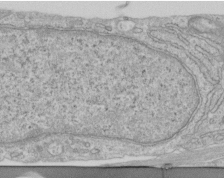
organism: Human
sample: Centriole in RPE cells